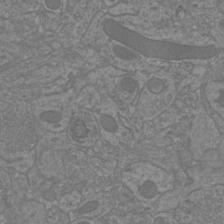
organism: Mouse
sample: Cortical neurons